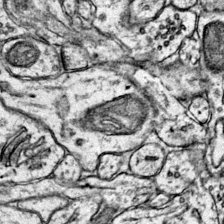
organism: Mouse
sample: Primary visual cortex